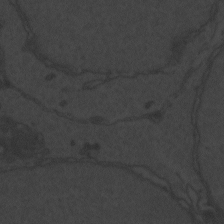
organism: Zebrafish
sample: Macrophage infected with Toxoplasma gondii